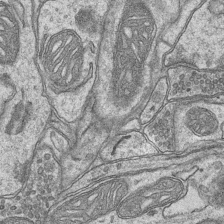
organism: Mouse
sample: CA1 Hippocampus